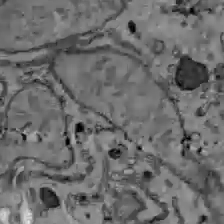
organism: C57BL Mouse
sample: Liver